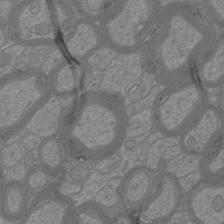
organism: Mouse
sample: Cortical neurons